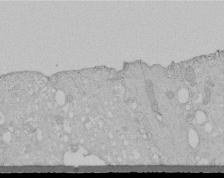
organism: Human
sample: Melanocyte Keratinocyte synapse skin construct